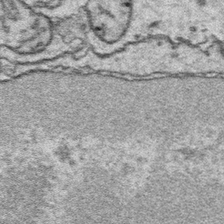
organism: Platynereis dumerilii